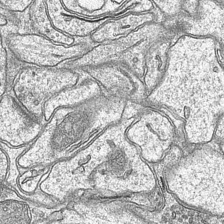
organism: Mouse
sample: CA1 Hippocampus